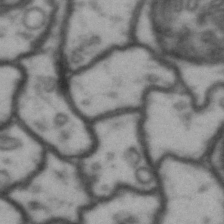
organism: Drosophila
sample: Brain